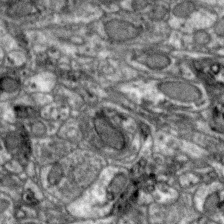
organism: Zebra finch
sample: Brain